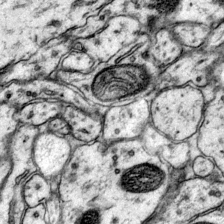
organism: Mouse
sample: Primary visual cortex